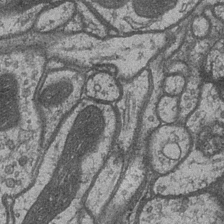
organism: Drosophila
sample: Optic medulla